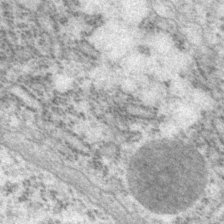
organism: P. pacificus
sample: Pharynx